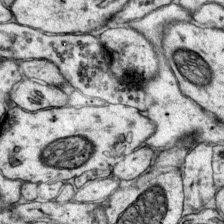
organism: Mouse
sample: Primary visual cortex